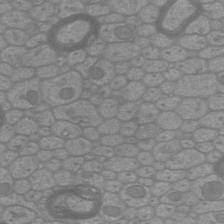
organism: Mouse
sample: Cortical neurons